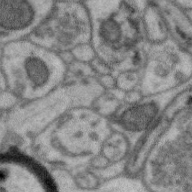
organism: Zebra finch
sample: Brain